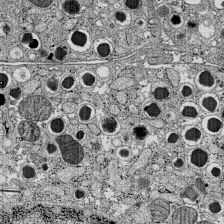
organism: C57BL Mouse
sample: Pancreatic islet